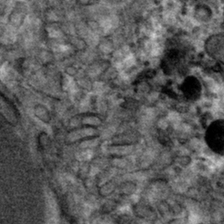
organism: Mouse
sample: Mouse hepatocytes